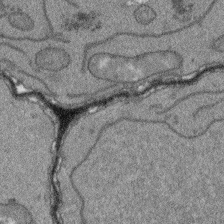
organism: Arabidopsis thaliana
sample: Root tip